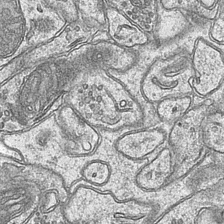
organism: Mouse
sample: CA1 Hippocampus